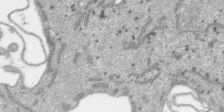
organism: Human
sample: Lung epithelial cells infected with SARS-CoV-2